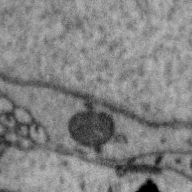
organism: Zebra finch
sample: Brain